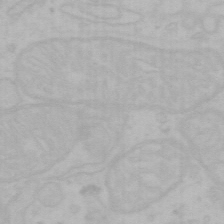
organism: Mouse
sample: Choroid plexus